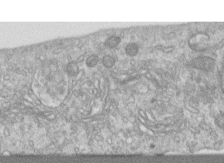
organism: Human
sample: Centriole in RPE cells